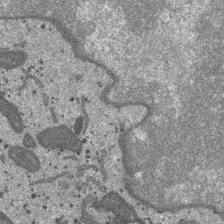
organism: Human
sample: Lung epithelial cells infected with SARS-CoV-2